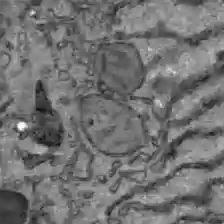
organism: C57BL Mouse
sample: Liver